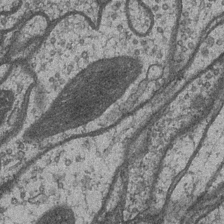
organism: Drosophila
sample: Optic medulla